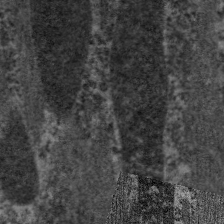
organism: C. elegans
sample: Pharynx